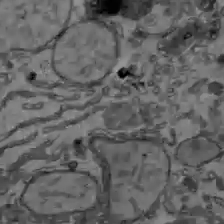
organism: C57BL Mouse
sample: Liver